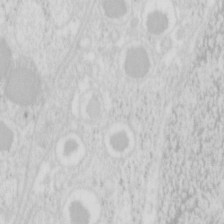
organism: Mouse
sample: Pancreas